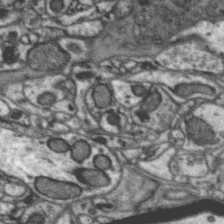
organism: Zebra finch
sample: Brain